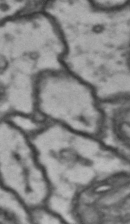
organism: Drosophila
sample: Brain